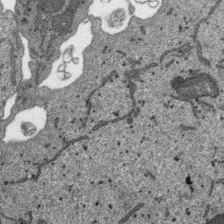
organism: Human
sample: Lung epithelial cells infected with SARS-CoV-2